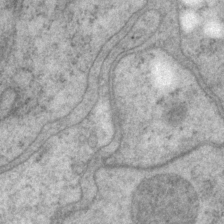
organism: P. pacificus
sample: Pharynx